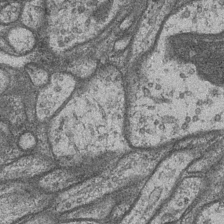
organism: Drosophila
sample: Optic medulla